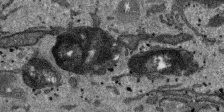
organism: Human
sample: Lung epithelial cells, uninfected (mock) control